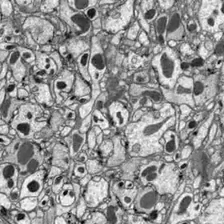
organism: Drosophila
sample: Optic lobe